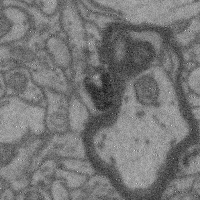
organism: Mouse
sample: Cerebral cortex